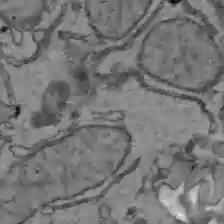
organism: C57BL Mouse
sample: Liver